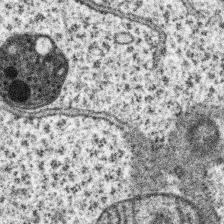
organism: Human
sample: HeLa cells